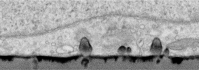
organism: Human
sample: Centriole in RPE cells